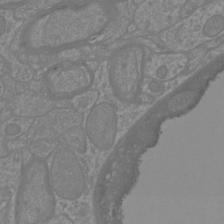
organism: Mouse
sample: Cortical neurons